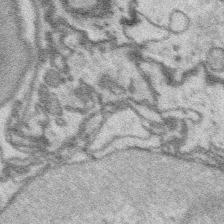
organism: Platynereis dumerilii